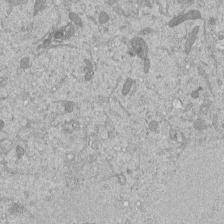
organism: Mouse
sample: ED-1 cell nuclei; centrioles